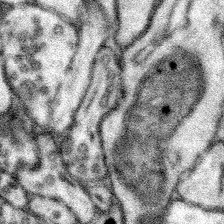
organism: Mouse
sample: Somatosensory cortex neuropil